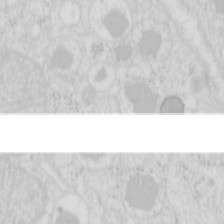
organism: Mouse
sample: Pancreas